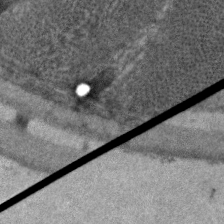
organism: C. elegans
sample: Pharynx